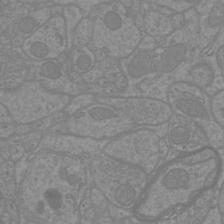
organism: Mouse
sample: Cortical neurons